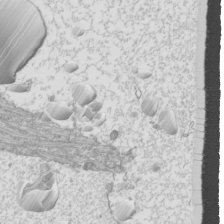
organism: Mouse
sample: Cilia; mouse epididymis